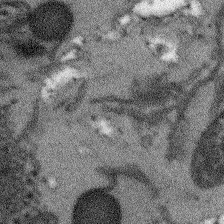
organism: Arabidopsis thaliana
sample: Root tip